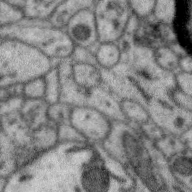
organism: Zebra finch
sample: Brain